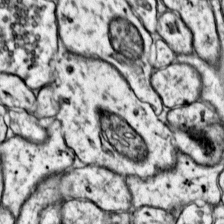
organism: Mouse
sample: Primary visual cortex